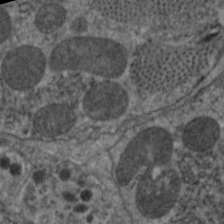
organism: C. elegans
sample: Pharynx